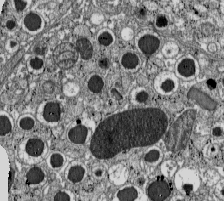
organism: C57BL Mouse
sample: Pancreatic islet